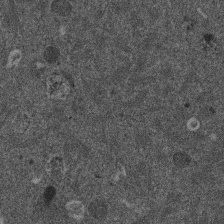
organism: Mouse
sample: Dividing mouse embryo 1 cell stage